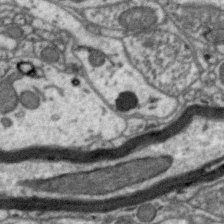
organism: Zebra finch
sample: Brain